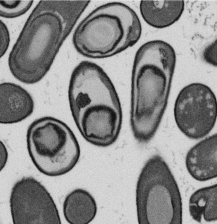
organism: B. subtilis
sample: Bacterial spore